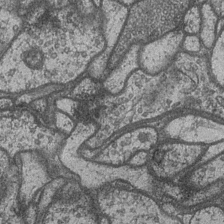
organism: Drosophila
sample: Optic medulla